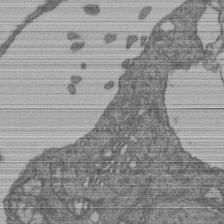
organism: Human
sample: Retinal organoid Rod and Cone cells